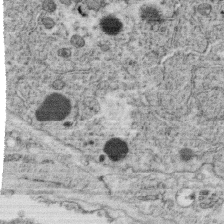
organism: C. elegans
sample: C. elegans oocyte; sperm cells